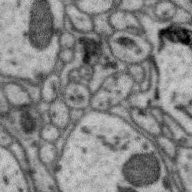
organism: Zebra finch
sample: Brain